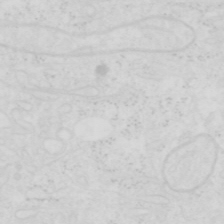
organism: Human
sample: SUM-159 cell